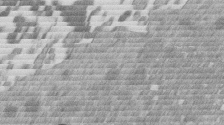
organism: Mouse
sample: Dividing mouse embryo 1 cell stage